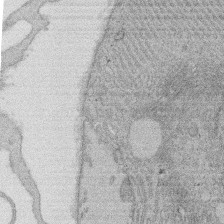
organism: Rat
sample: Salivary granule